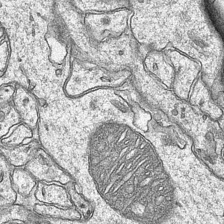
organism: Mouse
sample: CA1 Hippocampus